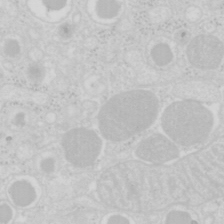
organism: Mouse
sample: Pancreas